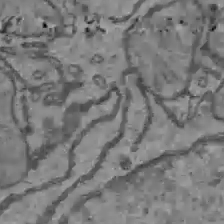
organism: C57BL Mouse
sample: Liver